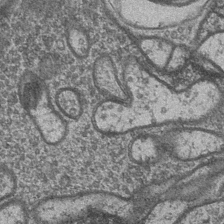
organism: Drosophila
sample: Optic medulla